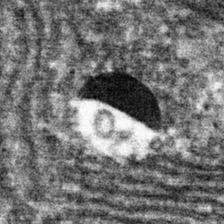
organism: Mouse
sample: Mouse hepatocytes